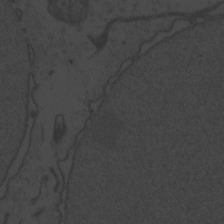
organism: Zebrafish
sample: Macrophage infected with Toxoplasma gondii